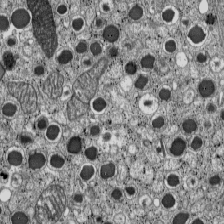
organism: C57BL Mouse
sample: Pancreatic islet